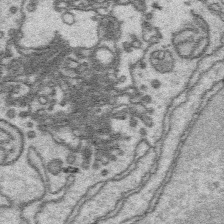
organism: Platynereis dumerilii